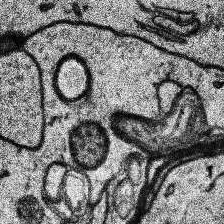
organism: Human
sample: Temporal Lobe